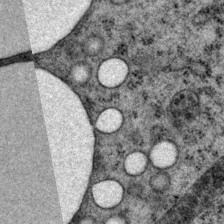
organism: P. pacificus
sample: Pharynx